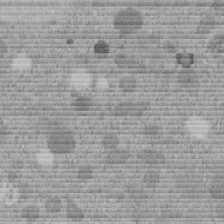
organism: C. elegans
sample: C. elegans embryo early stage